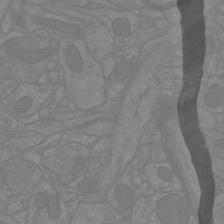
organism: Mouse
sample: Cortical neurons